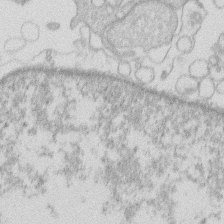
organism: Human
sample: Macrophage cells